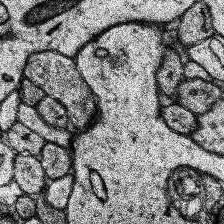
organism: Human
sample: Temporal Lobe